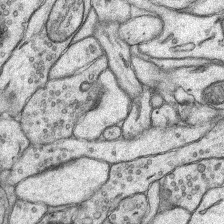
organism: Rat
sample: Hippocampus